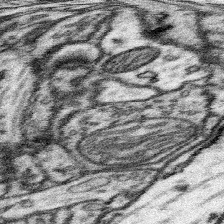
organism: Mouse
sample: Somatosensory cortex neuropil